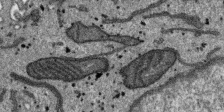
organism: Human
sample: Lung epithelial cells, uninfected (mock) control